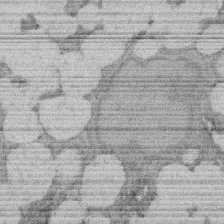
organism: Rat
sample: Salivary granule